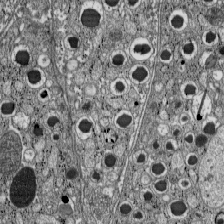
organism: C57BL Mouse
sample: Pancreatic islet